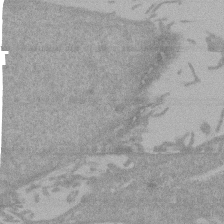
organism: Mouse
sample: ED-1 cell nuclei; centrioles